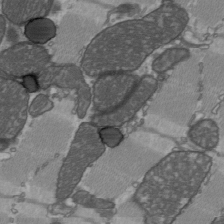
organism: C57BL Mouse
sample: Heart